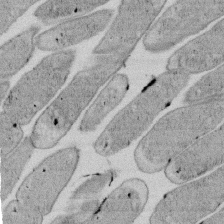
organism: E. coli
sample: Bacterial nucleoid